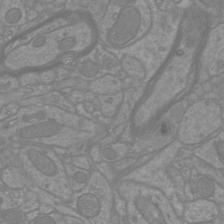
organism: Mouse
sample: Cortical neurons